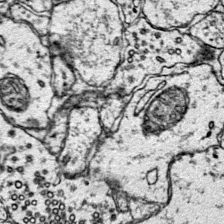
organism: Mouse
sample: Primary visual cortex